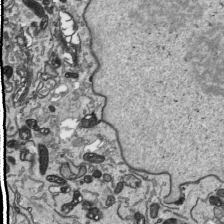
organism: Human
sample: Mitochondria in HCT116 cells